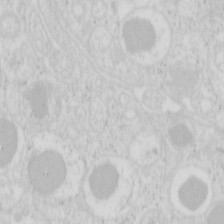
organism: Mouse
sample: Pancreas